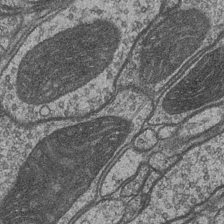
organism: Drosophila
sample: Optic medulla